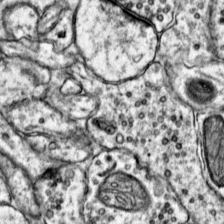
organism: Mouse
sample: Primary visual cortex